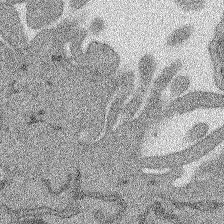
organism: Human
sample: HeLa cells